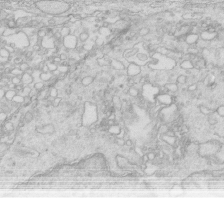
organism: Mouse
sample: Multiciliated cells